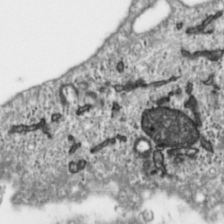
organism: Toxoplasma gondii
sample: Parasites in a vacuole inside a host cell